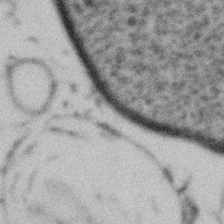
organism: Gemmata obscuriglobus